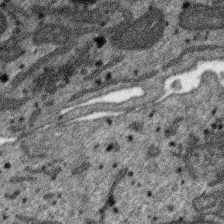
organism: Human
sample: Lung epithelial cells infected with SARS-CoV-2